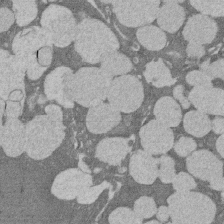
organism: Rat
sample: Salivary granule